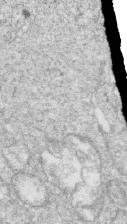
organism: Human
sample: HeLa cell HIV synapse